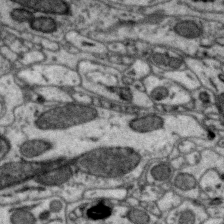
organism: Zebra finch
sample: Brain